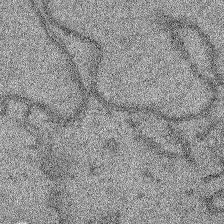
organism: Human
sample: HeLa cells